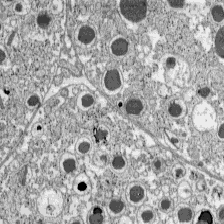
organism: C57BL Mouse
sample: Pancreatic islet